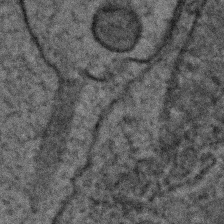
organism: C. elegans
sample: C. elegans embryo